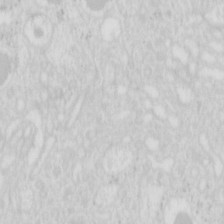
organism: Mouse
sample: Pancreas